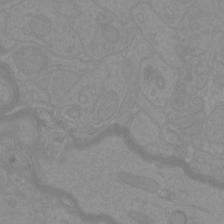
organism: Mouse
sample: Cortical neurons